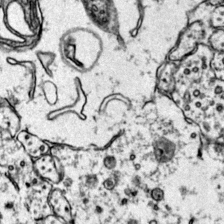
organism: Mouse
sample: Primary visual cortex